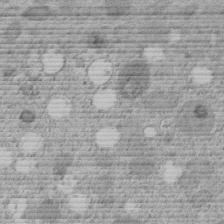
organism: C. elegans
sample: C. elegans embryo early stage